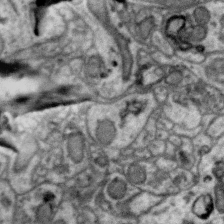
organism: Zebra finch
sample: Brain